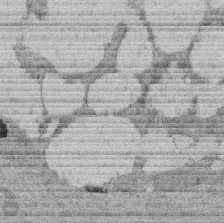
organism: Rat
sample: Salivary granule